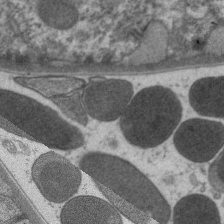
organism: C. elegans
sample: Pharynx